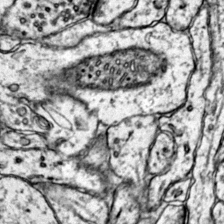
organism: Mouse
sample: Primary visual cortex